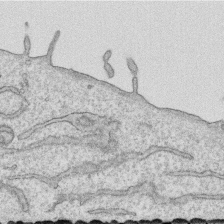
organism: Human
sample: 1205lu cells